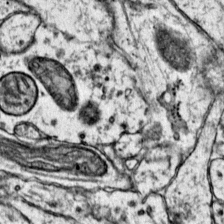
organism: Mouse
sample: Primary visual cortex